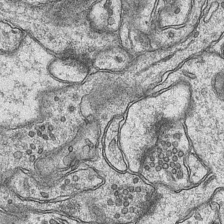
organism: Mouse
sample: CA1 Hippocampus